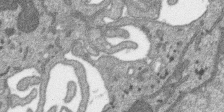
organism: Human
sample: Lung epithelial cells infected with SARS-CoV-2